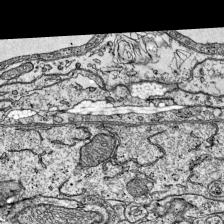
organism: Mouse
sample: Visual Cortex